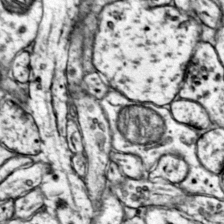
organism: Mouse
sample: Primary visual cortex